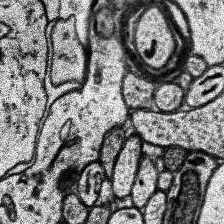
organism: Human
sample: Temporal Lobe